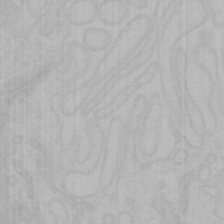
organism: Mouse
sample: Choroid plexus